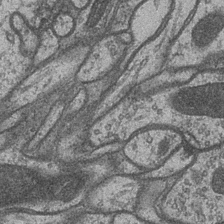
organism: Drosophila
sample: Optic medulla